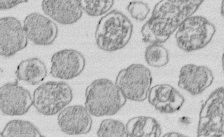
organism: E. coli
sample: Bacterial nucleoid